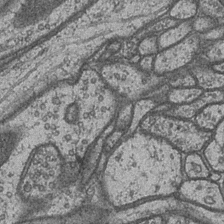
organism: Drosophila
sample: Optic medulla